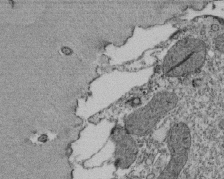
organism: Tetrahymena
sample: Cilia in tetrahymena